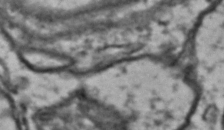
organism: Drosophila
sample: Brain